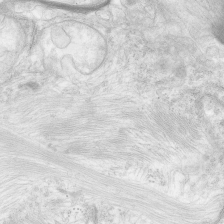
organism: Human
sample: Neocortex